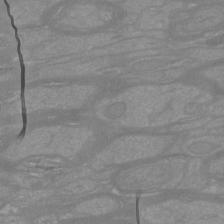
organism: Mouse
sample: Cortical neurons